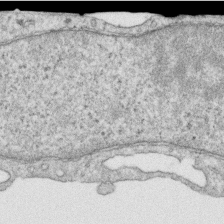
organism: Human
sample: Centriole in RPE cells